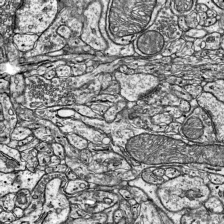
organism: Mouse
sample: Visual Cortex